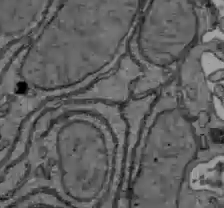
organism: C57BL Mouse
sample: Liver